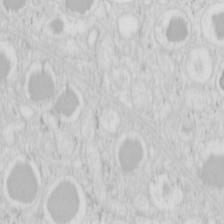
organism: Mouse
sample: Pancreas